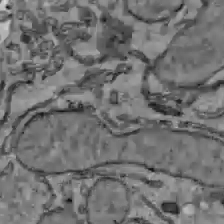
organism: C57BL Mouse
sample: Liver